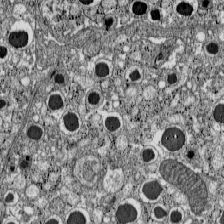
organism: C57BL Mouse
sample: Pancreatic islet